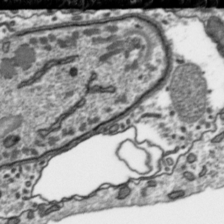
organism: Toxoplasma gondii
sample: Parasites in a vacuole inside a host cell